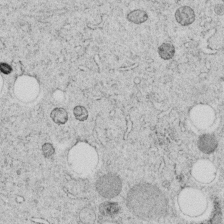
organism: C. elegans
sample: C. elegans embryo early stage